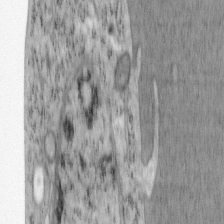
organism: Human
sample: HeLa cells